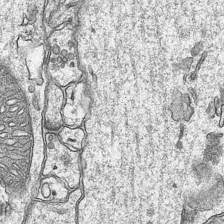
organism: Mouse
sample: CA1 Hippocampus